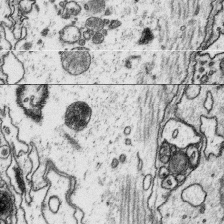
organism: Platynereis dumerilii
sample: Parapodia